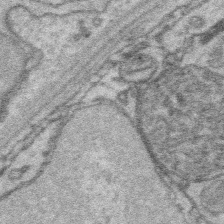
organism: Platynereis dumerilii